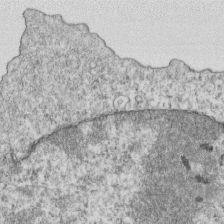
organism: Mouse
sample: Activated OT-1 CD8+ T cells